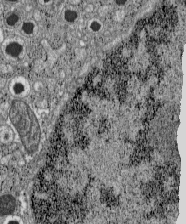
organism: C57BL Mouse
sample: Pancreatic islet